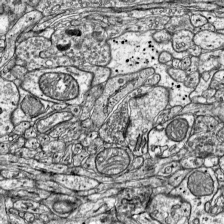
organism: Mouse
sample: Visual Cortex